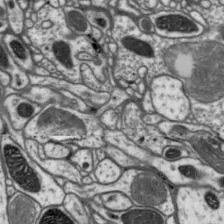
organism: Drosophila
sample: Protocerebral bridge